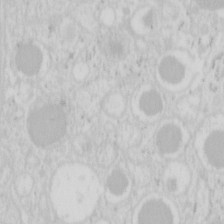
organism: Mouse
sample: Pancreas